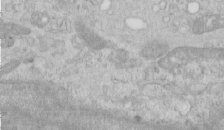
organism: Human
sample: Centriole in RPE cells